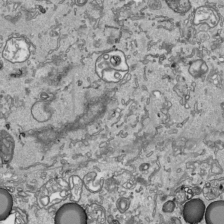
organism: Human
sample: Mitochondria in HCT116 cells